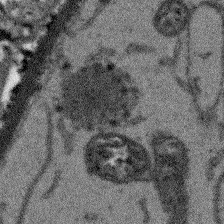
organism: Arabidopsis thaliana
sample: Root tip